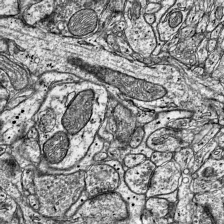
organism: Mouse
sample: Visual Cortex